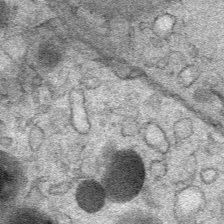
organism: Mouse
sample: Mouse Salivary gland